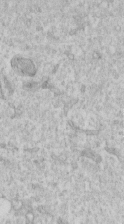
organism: Human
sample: Centriole in RPE cells